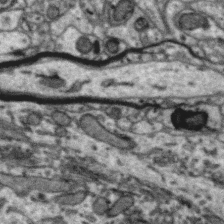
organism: Zebra finch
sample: Brain